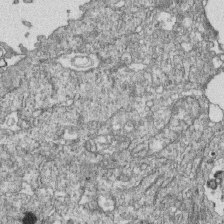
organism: Human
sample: HeLa cell HIV synapse